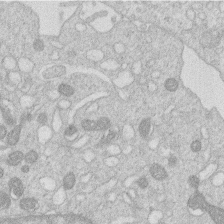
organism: Human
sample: Macrophage cells